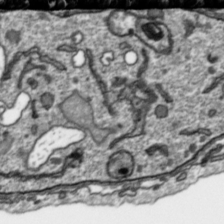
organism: Toxoplasma gondii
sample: Parasites in a vacuole inside a host cell